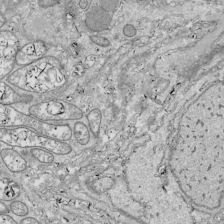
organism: Drosophila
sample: Cell division; meiosis; drosophila spermatocytes